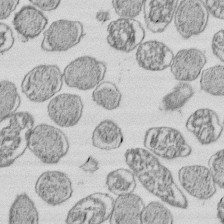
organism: E. coli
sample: Bacterial nucleoid